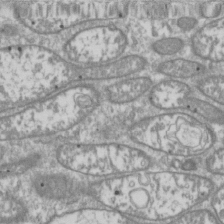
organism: Drosophila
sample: Cell division; meiosis; drosophila spermatocytes